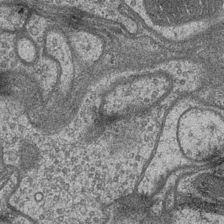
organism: Drosophila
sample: Optic medulla